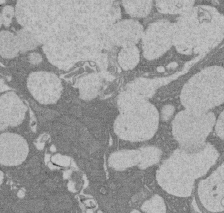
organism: Rat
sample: Salivary granule